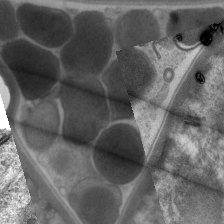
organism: C. elegans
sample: Pharynx